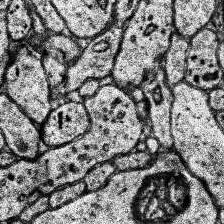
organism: Human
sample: Temporal Lobe